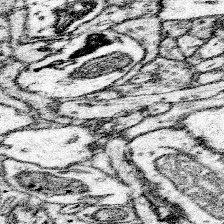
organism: Mouse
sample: Somatosensory cortex neuropil